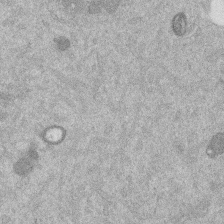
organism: Mouse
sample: Dividing mouse embryo 1 cell stage